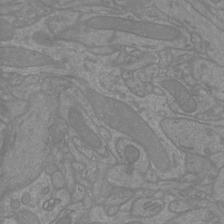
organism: Mouse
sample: Cortical neurons